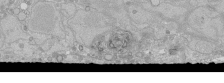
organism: Human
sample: Caco-2 cells